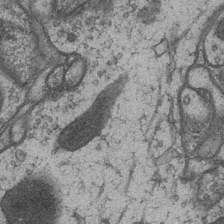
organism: Drosophila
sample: Optic medulla